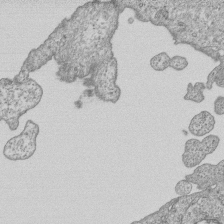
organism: Human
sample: MDA-MB-231 cells